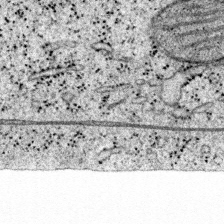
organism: Human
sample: HeLa cells